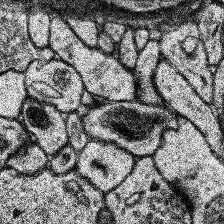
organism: Human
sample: Temporal Lobe